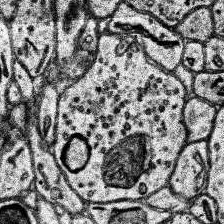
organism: Human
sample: Temporal Lobe